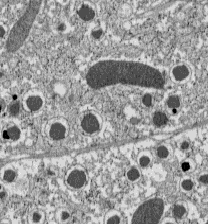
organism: C57BL Mouse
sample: Pancreatic islet